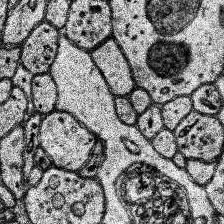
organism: Human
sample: Temporal Lobe